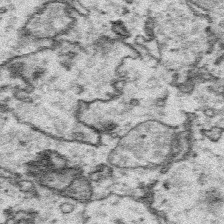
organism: Platynereis dumerilii